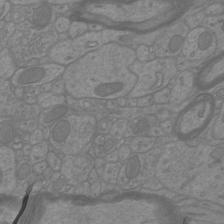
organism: Mouse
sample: Cortical neurons